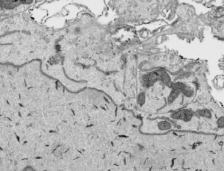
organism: Human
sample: Mitochondria in HCT116 cells